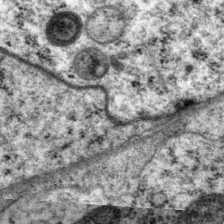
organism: P. pacificus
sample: Pharynx